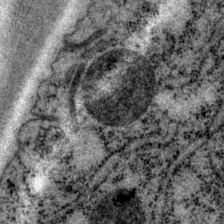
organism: P. pacificus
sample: Pharynx